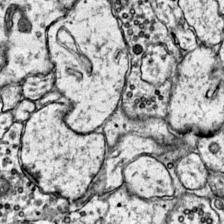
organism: Mouse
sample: Primary visual cortex